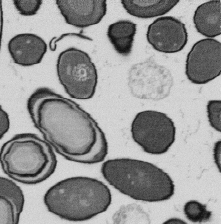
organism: B. subtilis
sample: Bacterial spore